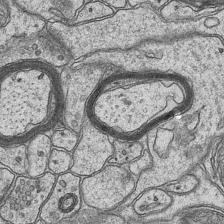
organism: Mouse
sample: CA1 Hippocampus